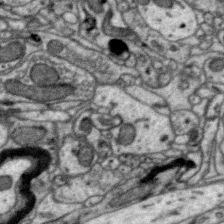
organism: Zebra finch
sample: Brain